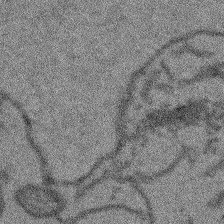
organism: Arabidopsis thaliana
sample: Root tip